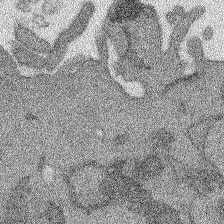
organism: Human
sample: HeLa cells